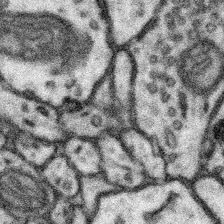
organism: Mouse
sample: Somatosensory cortex neuropil